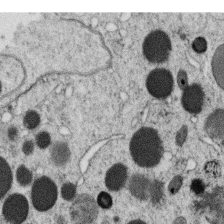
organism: C. elegans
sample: C. elegans oocyte; sperm cells